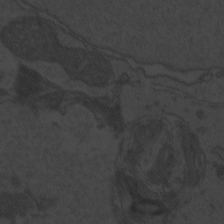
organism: Zebrafish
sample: Macrophage infected with Toxoplasma gondii